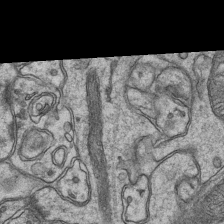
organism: Mouse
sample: CA1 Hippocampus